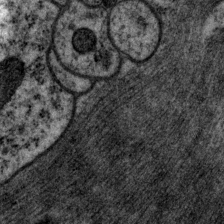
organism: P. pacificus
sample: Pharynx